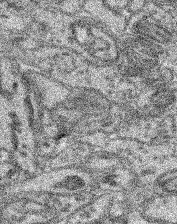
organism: Mouse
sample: Retina